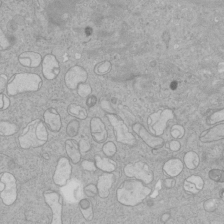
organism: Human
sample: Mitochondria in HCT116 cells